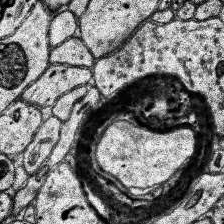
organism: Human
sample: Temporal Lobe